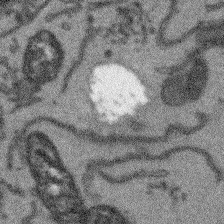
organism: Arabidopsis thaliana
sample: Root tip